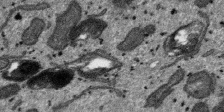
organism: Human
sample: Lung epithelial cells, uninfected (mock) control